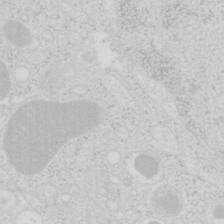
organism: Mouse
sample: Pancreas